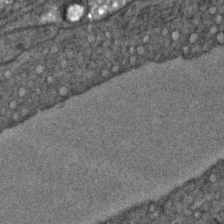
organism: C. elegans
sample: C. elegans embryo